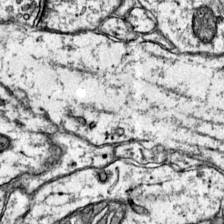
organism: Mouse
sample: Primary visual cortex